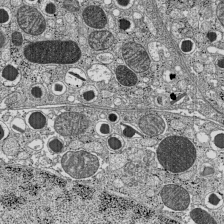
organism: C57BL Mouse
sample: Pancreatic islet